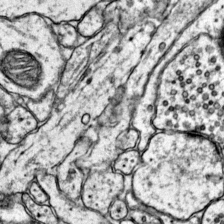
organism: Mouse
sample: Primary visual cortex